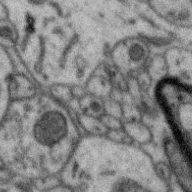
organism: Zebra finch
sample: Brain